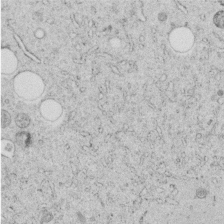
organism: C. elegans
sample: C. elegans embryo early stage